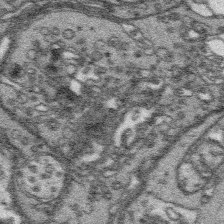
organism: Platynereis dumerilii